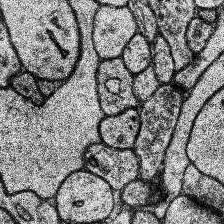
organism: Human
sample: Temporal Lobe